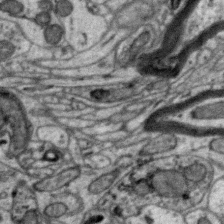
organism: Zebra finch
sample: Brain